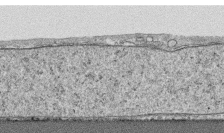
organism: Human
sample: CRL-1474